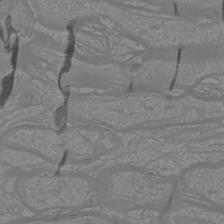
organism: Mouse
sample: Cortical neurons